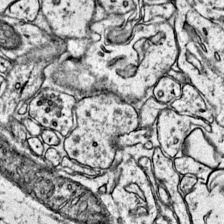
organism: Mouse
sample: Primary visual cortex